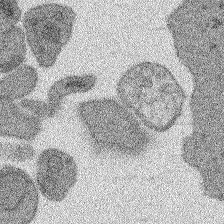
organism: Human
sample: HeLa cells